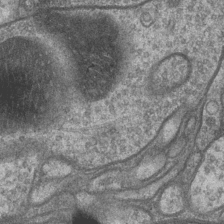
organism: Drosophila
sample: Optic medulla